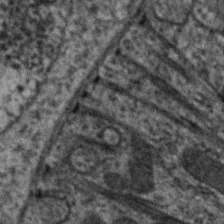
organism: C. elegans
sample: Pharynx